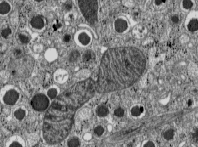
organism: C57BL Mouse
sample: Pancreatic islet